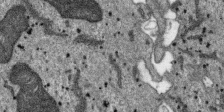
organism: Human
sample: Lung epithelial cells, uninfected (mock) control